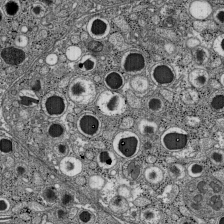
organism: C57BL Mouse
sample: Pancreatic islet